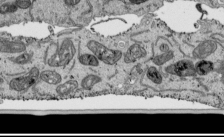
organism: Human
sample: Mitochondria in HCT116 cells